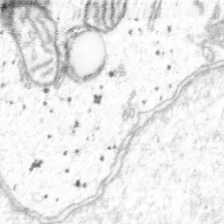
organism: Human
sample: HeLa cells